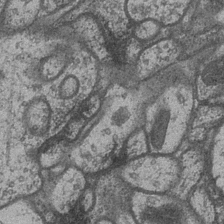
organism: Drosophila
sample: Optic medulla